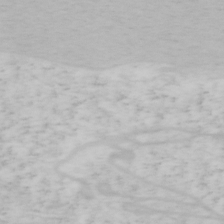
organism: Mouse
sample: OT-I killer T cells with ID8 ovarian cancer cells